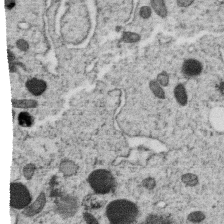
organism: C. elegans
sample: C. elegans oocyte; sperm cells